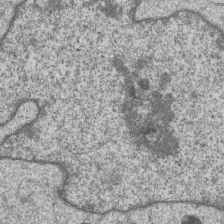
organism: Human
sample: MDA-MB-231 cells